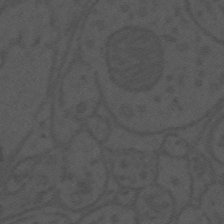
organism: Mouse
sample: Suprachiasmatic nucleus